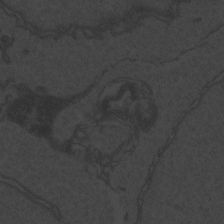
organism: Zebrafish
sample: Macrophage infected with Toxoplasma gondii